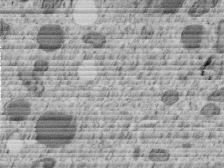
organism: C. elegans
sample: C. elegans embryo early stage